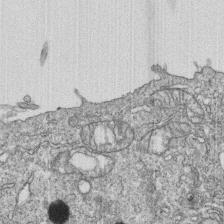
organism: Human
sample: HeLa cell HIV synapse